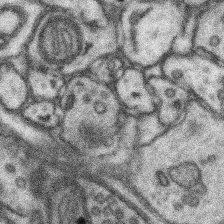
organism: Mouse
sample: Somatosensory cortex neuropil